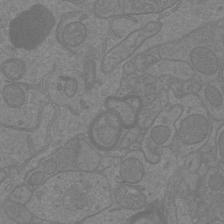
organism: Mouse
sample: Cortical neurons